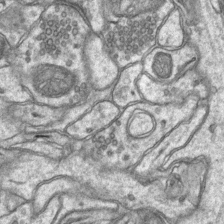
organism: Mouse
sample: CA1 Hippocampus